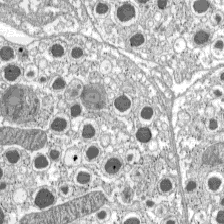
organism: C57BL Mouse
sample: Pancreatic islet